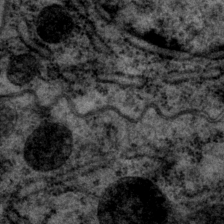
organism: P. pacificus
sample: Pharynx